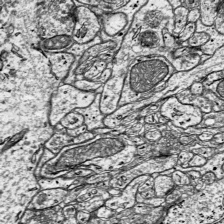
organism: Mouse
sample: Visual Cortex